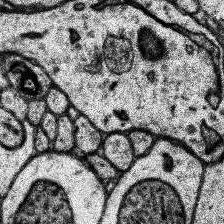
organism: Human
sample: Temporal Lobe